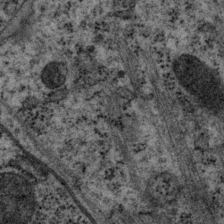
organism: P. pacificus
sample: Pharynx